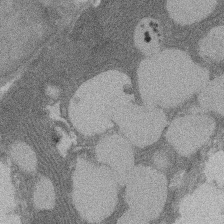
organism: Rat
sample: Salivary granule